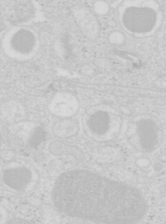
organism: Mouse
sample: Pancreas